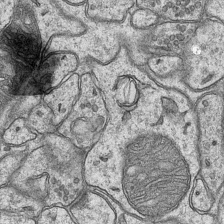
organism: Mouse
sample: CA1 Hippocampus